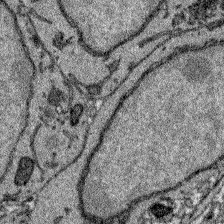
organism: Zebrafish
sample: Larval olfactory bulb